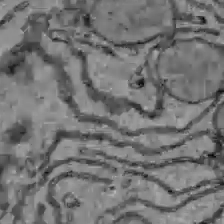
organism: C57BL Mouse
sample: Liver